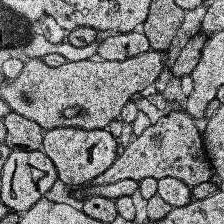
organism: Human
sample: Temporal Lobe